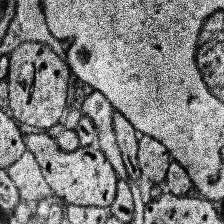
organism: Human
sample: Temporal Lobe